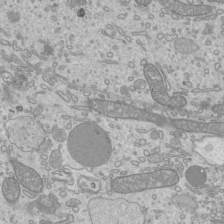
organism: Mouse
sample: Cilia; mouse epididymis